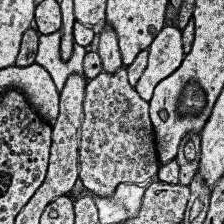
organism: Human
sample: Temporal Lobe